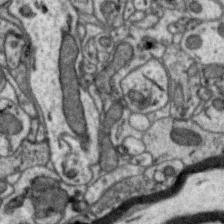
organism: Zebra finch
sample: Brain